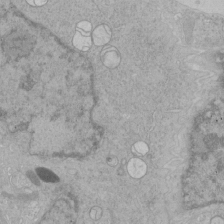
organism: Human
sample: Mitochondria in HCT116 cells